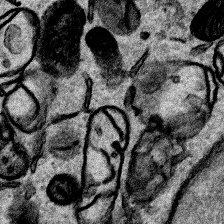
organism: Human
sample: Mitochondria in HCT116 cells